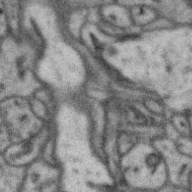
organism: Zebra finch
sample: Brain